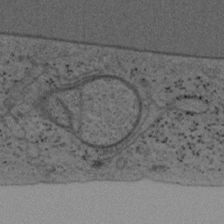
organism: Human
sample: HeLa cells